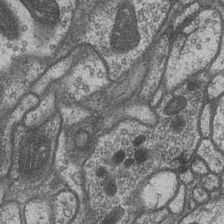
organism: Drosophila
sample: Optic medulla